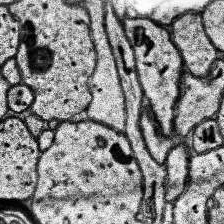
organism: Human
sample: Temporal Lobe